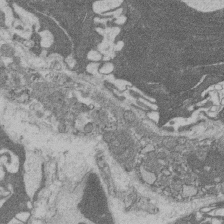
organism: Rat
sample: Salivary granule